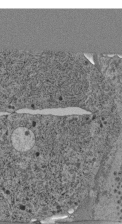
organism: C. elegans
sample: C. elegans pharynx